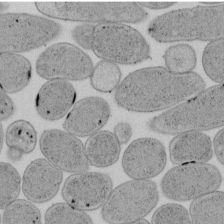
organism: E. coli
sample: Bacterial nucleoid